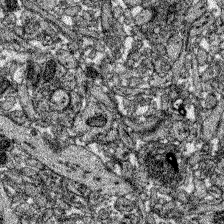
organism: Zebrafish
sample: Larval olfactory bulb